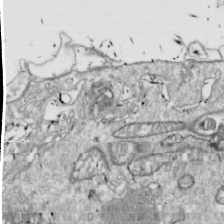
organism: Drosophila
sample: Cell division; meiosis; drosophila spermatocytes